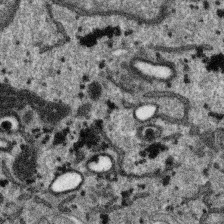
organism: Human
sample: Lung epithelial cells infected with SARS-CoV-2